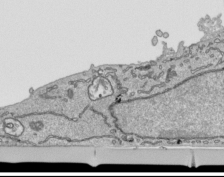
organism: Human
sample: Mitochondria in HCT116 cells